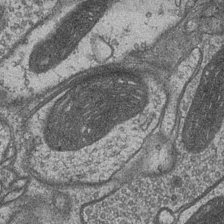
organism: Drosophila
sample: Optic medulla